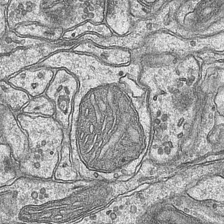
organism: Mouse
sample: CA1 Hippocampus